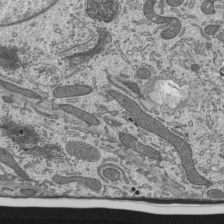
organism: Mouse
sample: Mouse epididymis efferent ductule cilia